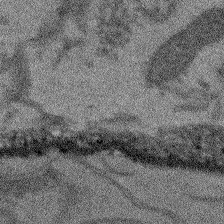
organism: Arabidopsis thaliana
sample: Root tip